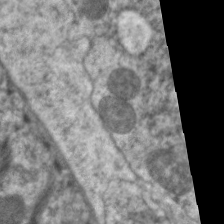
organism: C. elegans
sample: Pharynx